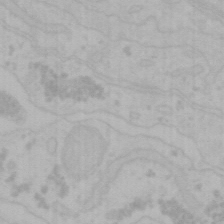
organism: Mouse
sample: Choroid plexus